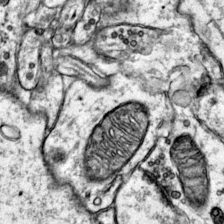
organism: Mouse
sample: Primary visual cortex